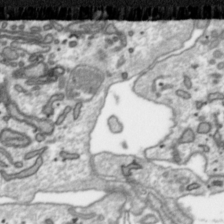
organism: Toxoplasma gondii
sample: Parasites in a vacuole inside a host cell